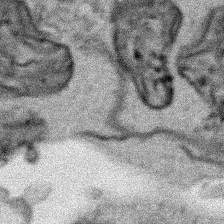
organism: Human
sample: Mitochondria in HCT116 cells